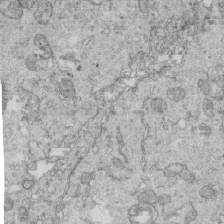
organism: Mouse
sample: Multiciliated cells